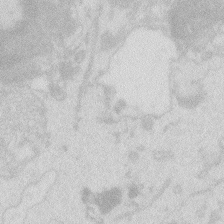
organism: Zebrafish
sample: Macrophage